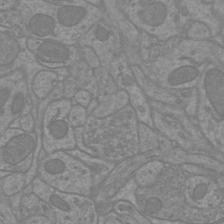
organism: Mouse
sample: Cortical neurons